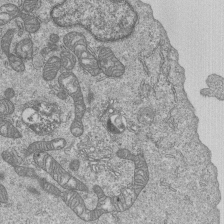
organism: Human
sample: MDA-MB-231 cells